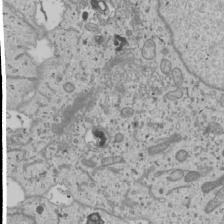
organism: Human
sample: Mitochondria in U2OS cells